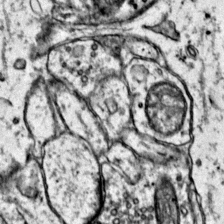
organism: Mouse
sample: Primary visual cortex